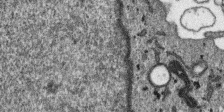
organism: Human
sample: Lung epithelial cells infected with SARS-CoV-2